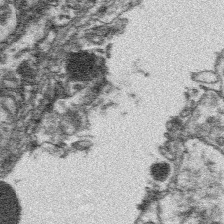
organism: Platynereis dumerilii